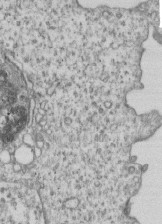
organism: Human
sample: MDA-MB-231 cells